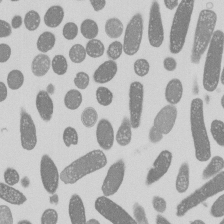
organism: E. coli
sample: Bacterial nucleoid